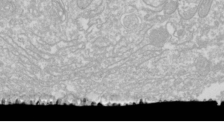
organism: Drosophila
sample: Cell division; meiosis; drosophila spermatocytes